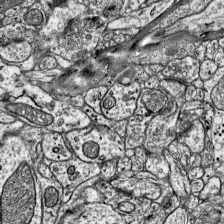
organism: Mouse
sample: Visual Cortex